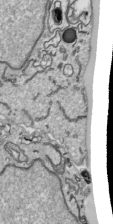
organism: Human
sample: Mitochondria in HCT116 cells